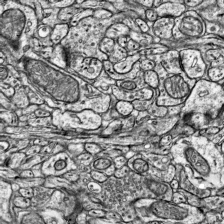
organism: Mouse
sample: Visual Cortex